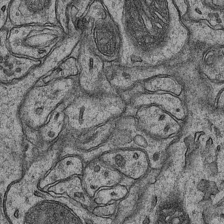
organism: Mouse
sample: CA1 Hippocampus